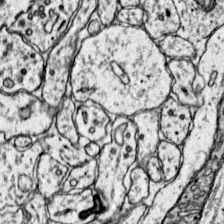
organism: Mouse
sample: Primary visual cortex